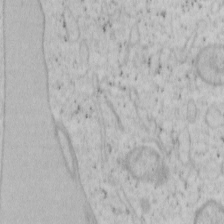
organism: Human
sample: HeLa cells